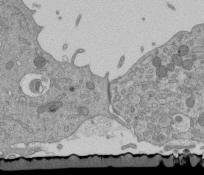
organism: Mouse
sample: ED-1 cell nuclei; centrioles